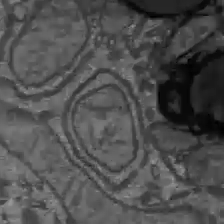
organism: C57BL Mouse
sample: Liver